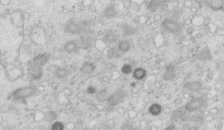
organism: Mouse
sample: Multiciliated cells